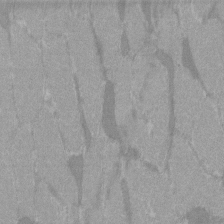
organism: C57BL Mouse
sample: Tibialis anterior muscle cell